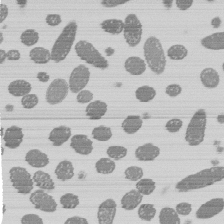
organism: E. coli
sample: Bacterial nucleoid